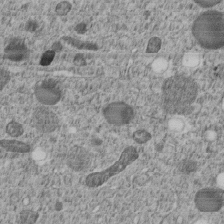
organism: C. elegans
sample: C. elegans embryo early stage